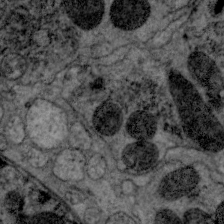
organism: C. elegans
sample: Pharynx